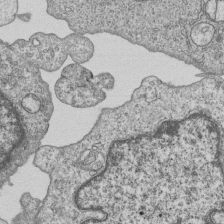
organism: Human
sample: MDA-MB-231 cells